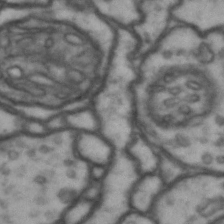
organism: Drosophila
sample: Brain